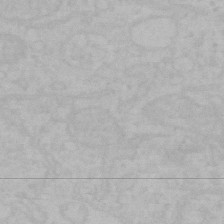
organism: Mouse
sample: Choroid plexus